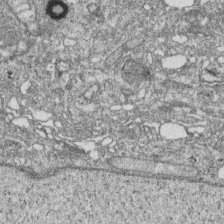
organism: Human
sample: HeLa cell HIV synapse